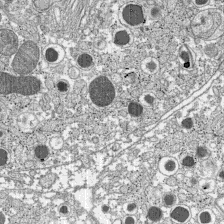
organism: C57BL Mouse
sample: Pancreatic islet